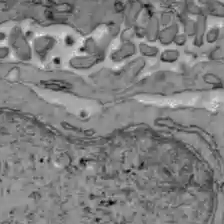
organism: C57BL Mouse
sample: Liver